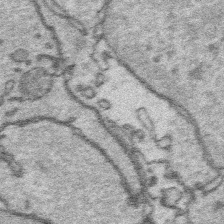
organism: Platynereis dumerilii